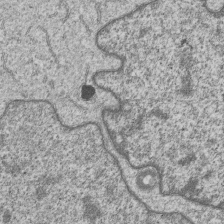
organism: Human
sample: MDA-MB-231 cells